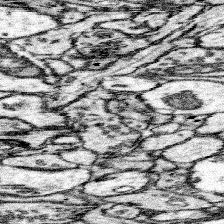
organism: Mouse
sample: Somatosensory cortex neuropil